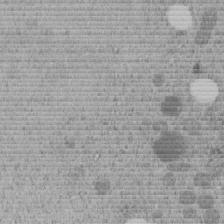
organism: C. elegans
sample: C. elegans embryo early stage